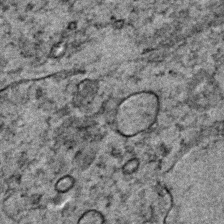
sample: Trachea